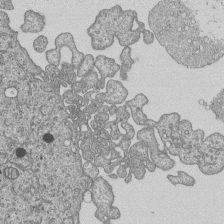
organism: Human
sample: MDA-MB-231 cells